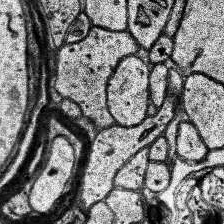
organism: Human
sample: Temporal Lobe